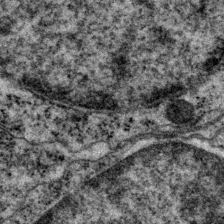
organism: P. pacificus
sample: Pharynx